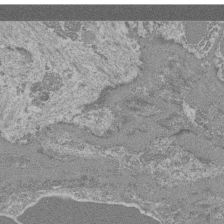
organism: Mouse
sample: Glomerulus